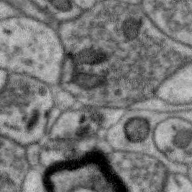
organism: Zebra finch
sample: Brain